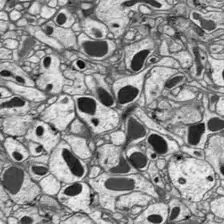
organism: Drosophila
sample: Optic lobe